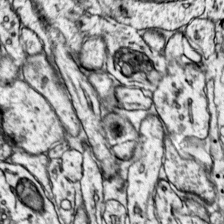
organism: Mouse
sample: Primary visual cortex